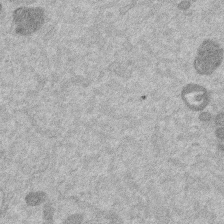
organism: Mouse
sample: Dividing mouse embryo 1 cell stage